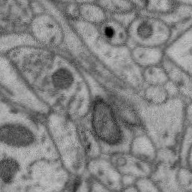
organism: Zebra finch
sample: Brain